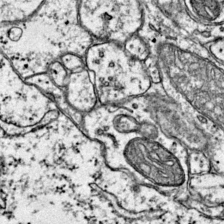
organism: Mouse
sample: Primary visual cortex